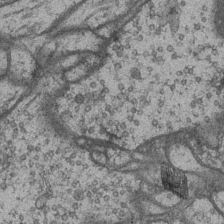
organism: Drosophila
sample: Optic medulla